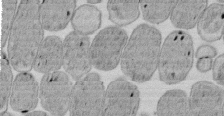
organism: E. coli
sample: Bacterial nucleoid